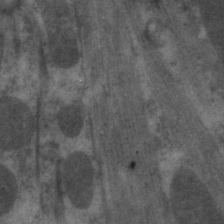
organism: C. elegans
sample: Pharynx